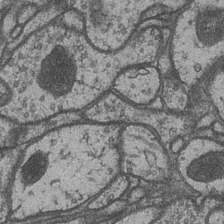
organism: Drosophila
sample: Optic medulla